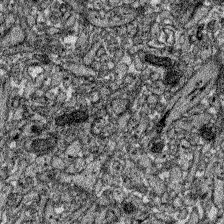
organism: Zebrafish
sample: Larval olfactory bulb